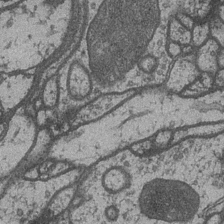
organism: Drosophila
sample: Optic medulla